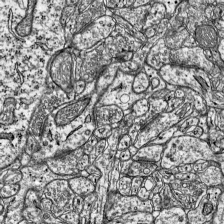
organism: Mouse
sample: Visual Cortex